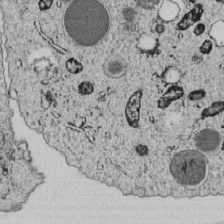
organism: C. elegans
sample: C. elegans embryo early stage